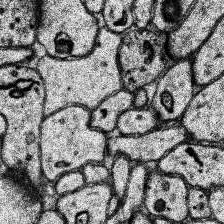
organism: Human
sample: Temporal Lobe